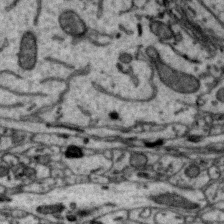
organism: Zebra finch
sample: Brain